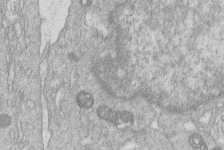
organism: Human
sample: Macrophage cells